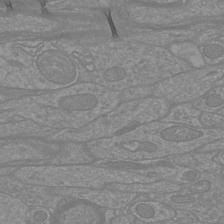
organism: Mouse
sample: Cortical neurons